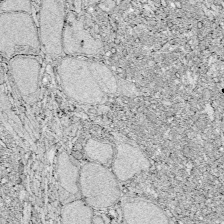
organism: Zebrafish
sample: Whole-Brain